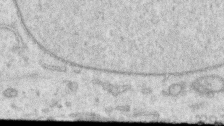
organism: Human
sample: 1205lu cells